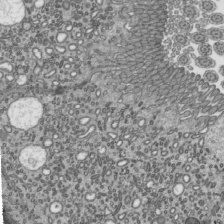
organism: Mouse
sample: Mouse epididymis efferent ductule cilia